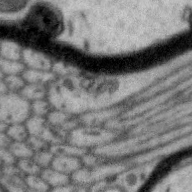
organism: Zebra finch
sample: Brain